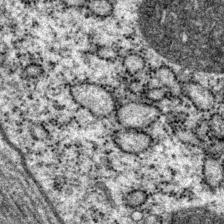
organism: P. pacificus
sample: Pharynx